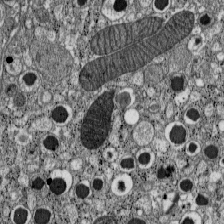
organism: C57BL Mouse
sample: Pancreatic islet